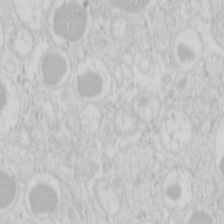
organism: Mouse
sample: Pancreas